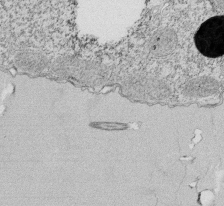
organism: Tetrahymena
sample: Cilia in tetrahymena